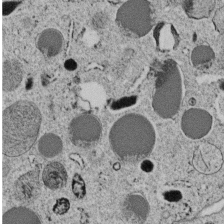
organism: C. elegans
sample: C. elegans embryo early stage